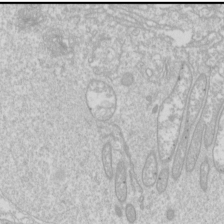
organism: Drosophila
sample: Cell division; meiosis; drosophila spermatocytes